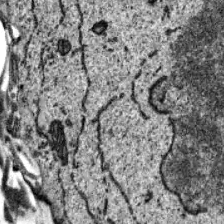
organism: Human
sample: HeLa cells